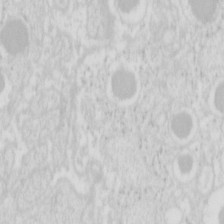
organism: Mouse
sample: Pancreas